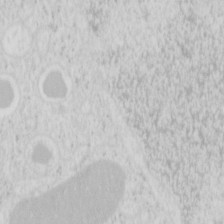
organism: Mouse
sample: Pancreas